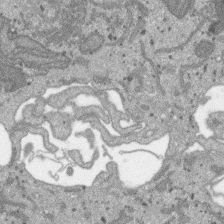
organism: Human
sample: Lung epithelial cells infected with SARS-CoV-2